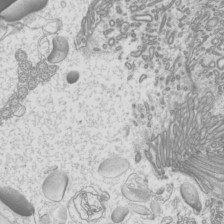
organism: Mouse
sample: Cilia; mouse epididymis